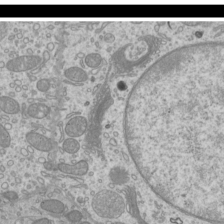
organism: Mouse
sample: Cilia; mouse epididymis